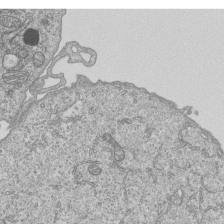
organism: Human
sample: MDA-MB-231 cells